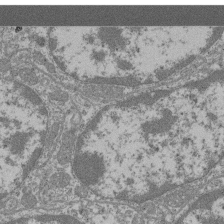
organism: Mouse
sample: Glomerulus